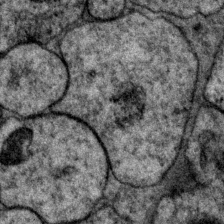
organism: P. pacificus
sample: Pharynx